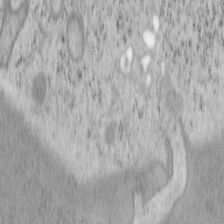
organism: Human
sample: HeLa cells